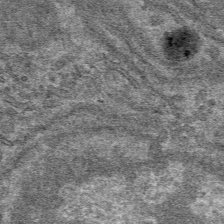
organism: Mouse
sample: Mouse hepatocytes